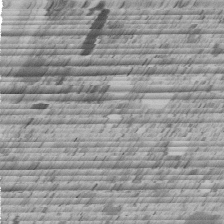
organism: C. elegans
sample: C. elegans embryo early stage